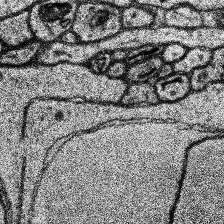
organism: Human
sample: Temporal Lobe